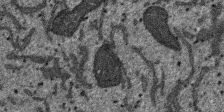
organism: Human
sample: Lung epithelial cells infected with SARS-CoV-2